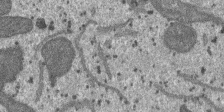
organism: Human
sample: Lung epithelial cells infected with SARS-CoV-2